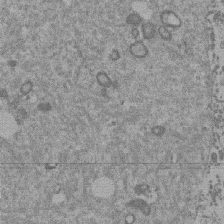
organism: Mouse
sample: Dividing mouse embryo 1 cell stage